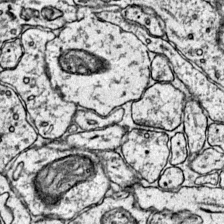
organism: Mouse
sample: Primary visual cortex